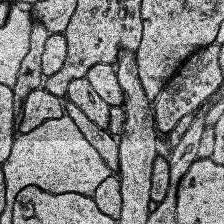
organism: Human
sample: Temporal Lobe